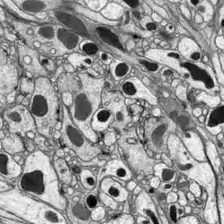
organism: Drosophila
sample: Optic lobe